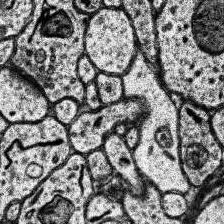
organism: Human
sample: Temporal Lobe